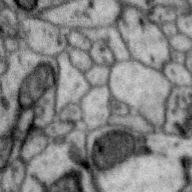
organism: Zebra finch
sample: Brain